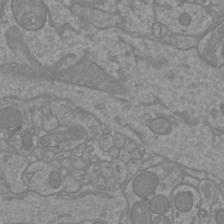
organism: Mouse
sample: Cortical neurons